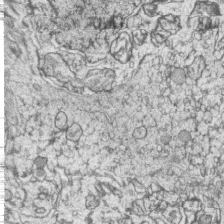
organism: Zebrafish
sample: synaptic ribbons in rod cells and cone cells